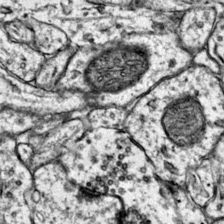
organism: Mouse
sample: Primary visual cortex